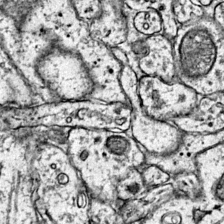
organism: Mouse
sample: Primary visual cortex